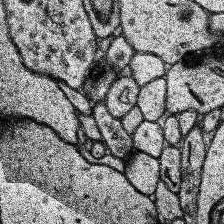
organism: Human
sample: Temporal Lobe